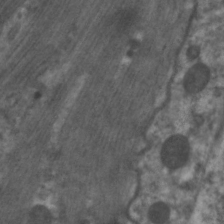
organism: C. elegans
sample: Pharynx